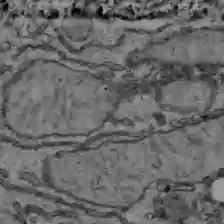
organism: C57BL Mouse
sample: Liver